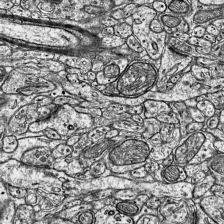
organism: Mouse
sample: Visual Cortex